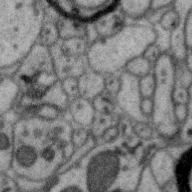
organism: Zebra finch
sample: Brain